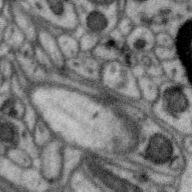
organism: Zebra finch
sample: Brain